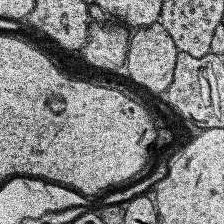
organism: Human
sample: Temporal Lobe